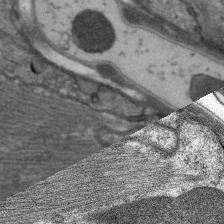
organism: C. elegans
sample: Pharynx